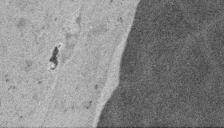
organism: Embia sp.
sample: Silk gland